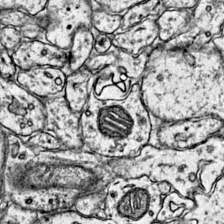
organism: Mouse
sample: Primary visual cortex